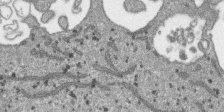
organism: Human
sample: Lung epithelial cells infected with SARS-CoV-2